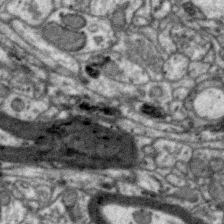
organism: Zebra finch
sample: Brain